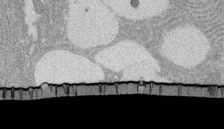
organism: Rat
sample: Salivary granule